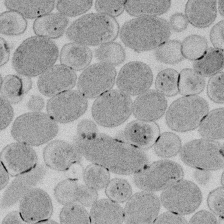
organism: E. coli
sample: Bacterial nucleoid